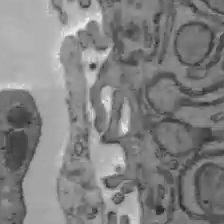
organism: C57BL Mouse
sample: Liver